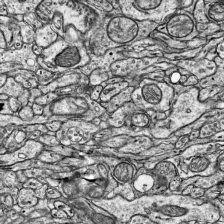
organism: Mouse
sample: Visual Cortex